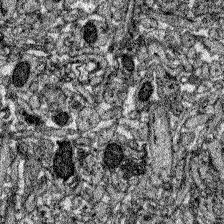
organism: Zebrafish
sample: Larval olfactory bulb